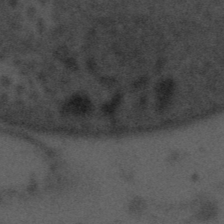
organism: Tuwongella immobilis